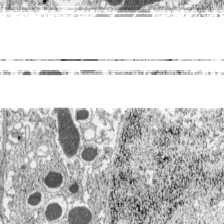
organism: C57BL Mouse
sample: Pancreatic islet